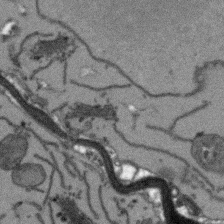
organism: Arabidopsis thaliana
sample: Root tip